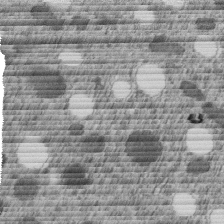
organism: C. elegans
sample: C. elegans embryo early stage